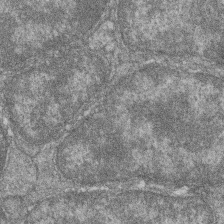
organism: Zebrafish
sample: Cilia; retinal pigment epithelium